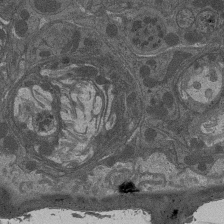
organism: Drosophila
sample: Antenna